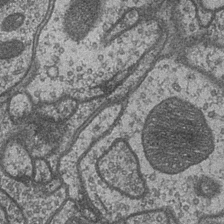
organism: Drosophila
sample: Optic medulla